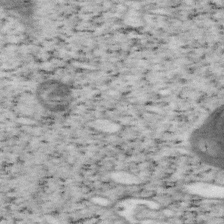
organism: Mouse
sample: OT-I killer T cells with ID8 ovarian cancer cells